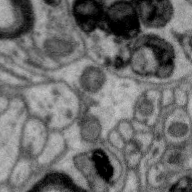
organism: Zebra finch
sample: Brain